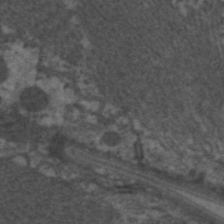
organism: C. elegans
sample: Pharynx